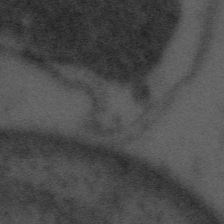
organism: Tuwongella immobilis